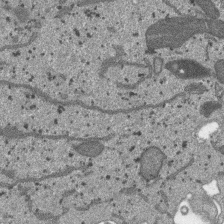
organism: Human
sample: Lung epithelial cells infected with SARS-CoV-2